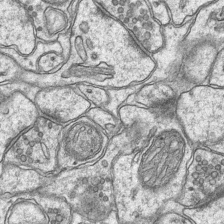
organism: Mouse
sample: CA1 Hippocampus